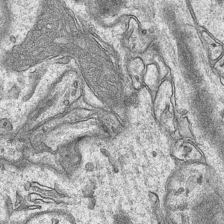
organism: Mouse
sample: CA1 Hippocampus